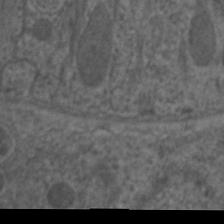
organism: C. elegans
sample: Pharynx